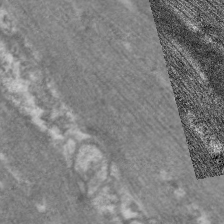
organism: C. elegans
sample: Pharynx